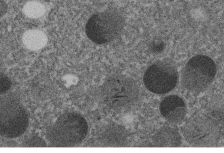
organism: C. elegans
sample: C. elegans embryo early stage